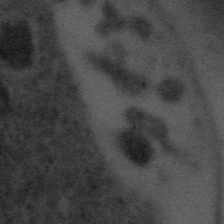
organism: Tuwongella immobilis